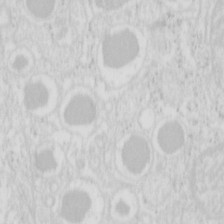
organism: Mouse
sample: Pancreas